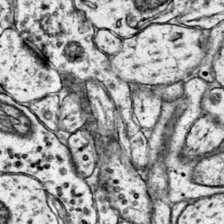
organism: Mouse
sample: Primary visual cortex